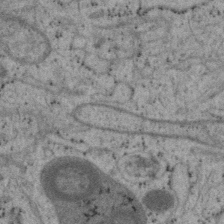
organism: Human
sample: HeLa cells